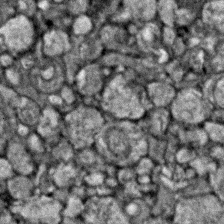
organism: Zebrafish